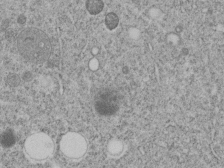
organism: C. elegans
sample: C. elegans embryo early stage